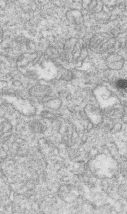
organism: Human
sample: HeLa cell HIV synapse